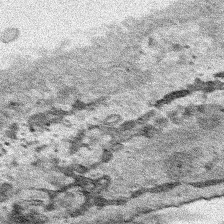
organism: Human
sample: Mitochondria in HCT116 cells